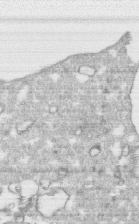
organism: Human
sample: CRL-1474